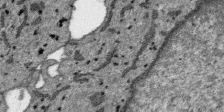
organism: Human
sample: Lung epithelial cells, uninfected (mock) control